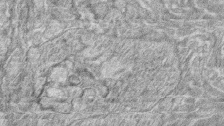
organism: Zebrafish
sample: synaptic ribbons in rod cells and cone cells